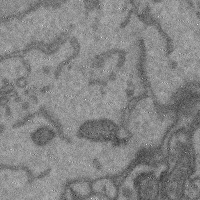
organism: Mouse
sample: Cerebral cortex